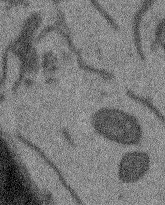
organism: Arabidopsis thaliana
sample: Root tip